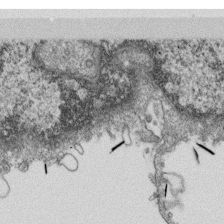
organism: African green monkey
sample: Vero E6 cells infected with SARS-CoV-2